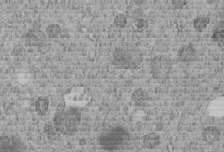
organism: C. elegans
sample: C. elegans embryo early stage